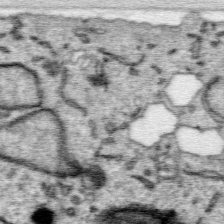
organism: Human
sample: HeLa cells